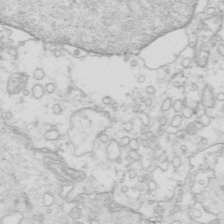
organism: Mouse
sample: Multiciliated cells